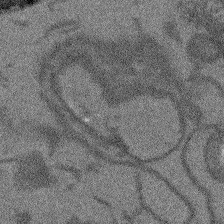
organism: Arabidopsis thaliana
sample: Root tip